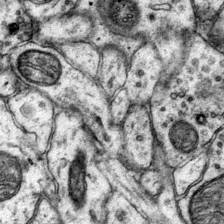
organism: Mouse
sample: Primary visual cortex